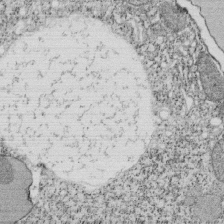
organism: Tetrahymena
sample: Cilia in tetrahymena